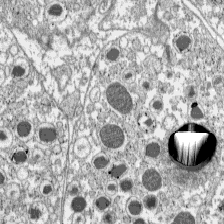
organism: C57BL Mouse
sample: Pancreatic islet